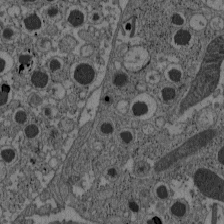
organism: C57BL Mouse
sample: Pancreatic islet